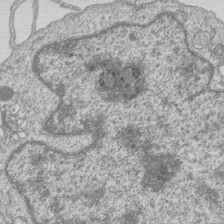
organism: Human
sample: MDA-MB-231 cells